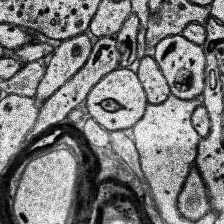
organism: Human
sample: Temporal Lobe